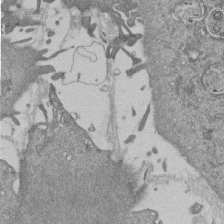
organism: Mouse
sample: ED-1 cell nuclei; centrioles